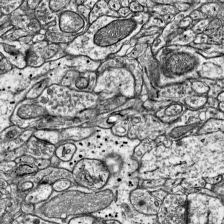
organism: Mouse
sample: Visual Cortex